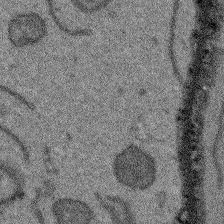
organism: Arabidopsis thaliana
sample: Root tip